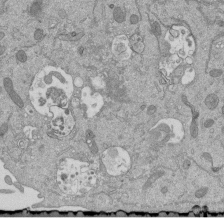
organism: Mouse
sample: ED-1 cell nuclei; centrioles